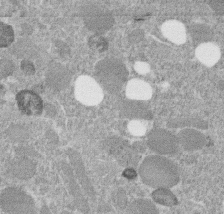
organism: C. elegans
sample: C. elegans embryo early stage